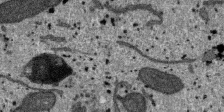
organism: Human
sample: Lung epithelial cells, uninfected (mock) control